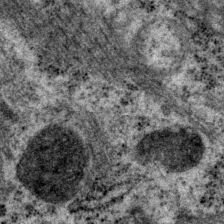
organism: P. pacificus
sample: Pharynx